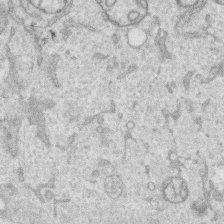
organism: Human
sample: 1205lu cells